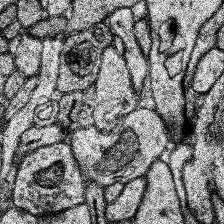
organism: Human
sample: Temporal Lobe